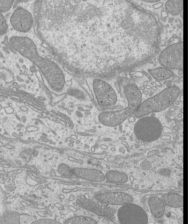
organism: Mouse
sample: Cilia; mouse epididymis